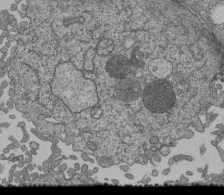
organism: Human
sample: Retinal organoid Rod and Cone cells